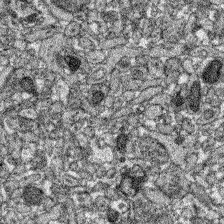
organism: Zebrafish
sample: Larval olfactory bulb